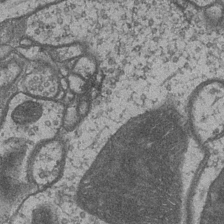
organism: Drosophila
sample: Optic medulla